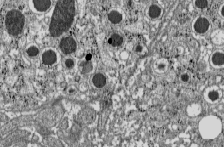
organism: C57BL Mouse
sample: Pancreatic islet